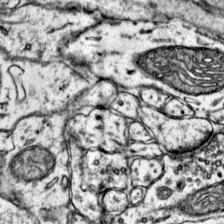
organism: Mouse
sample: Primary visual cortex